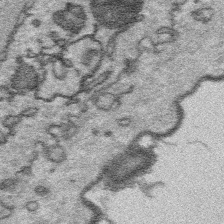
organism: Platynereis dumerilii